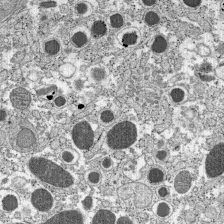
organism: C57BL Mouse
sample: Pancreatic islet